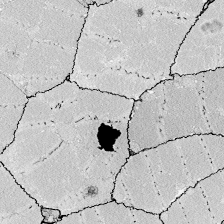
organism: Zebrafish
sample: Whole-Brain